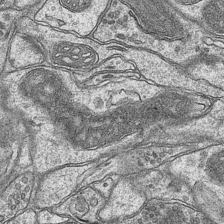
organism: Mouse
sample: CA1 Hippocampus